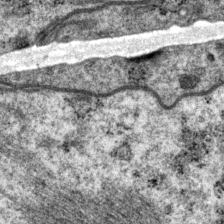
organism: P. pacificus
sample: Pharynx